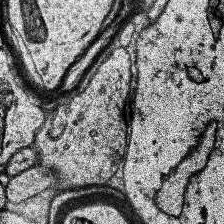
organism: Human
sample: Temporal Lobe